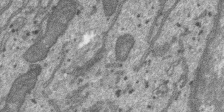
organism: Human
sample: Lung epithelial cells infected with SARS-CoV-2